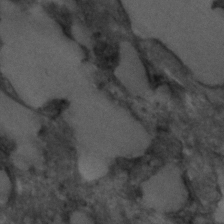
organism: C. elegans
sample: C. elegans embryo